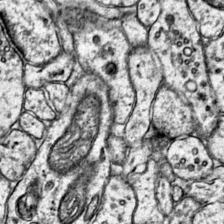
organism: Mouse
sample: Primary visual cortex